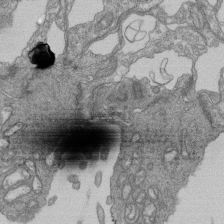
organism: Human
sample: Retinal organoid Rod and Cone cells